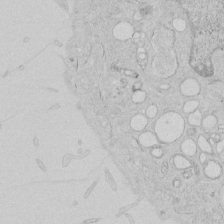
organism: Human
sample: Mitochondria in HCT116 cells